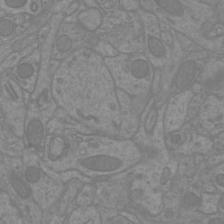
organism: Mouse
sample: Cortical neurons